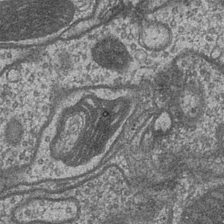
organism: Drosophila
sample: Optic medulla